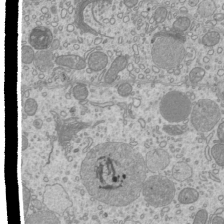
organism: Mouse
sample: Cilia; mouse epididymis